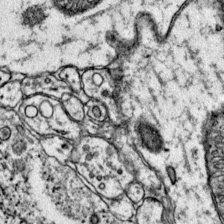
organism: Mouse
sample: Primary visual cortex